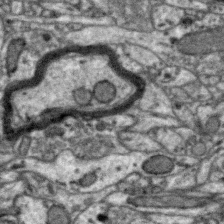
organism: Zebra finch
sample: Brain